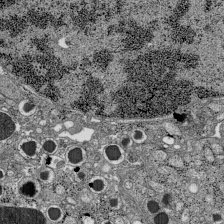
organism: C57BL Mouse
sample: Pancreatic islet